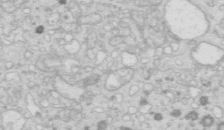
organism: Mouse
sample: Multiciliated cells